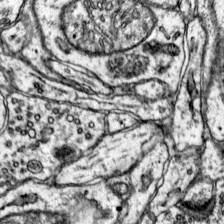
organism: Mouse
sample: Primary visual cortex